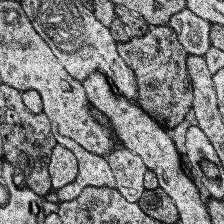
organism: Human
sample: Temporal Lobe